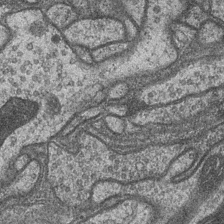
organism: Drosophila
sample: Optic medulla